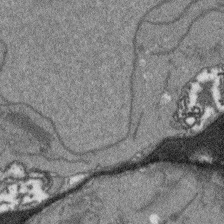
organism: Arabidopsis thaliana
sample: Root tip